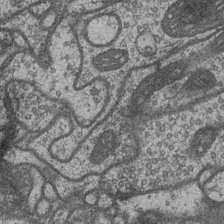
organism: Drosophila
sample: Optic medulla